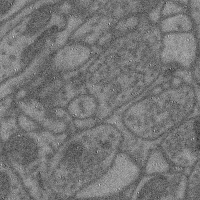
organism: Mouse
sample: Cerebral cortex